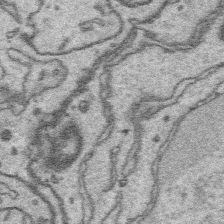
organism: Platynereis dumerilii